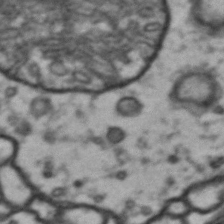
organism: Drosophila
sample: Brain